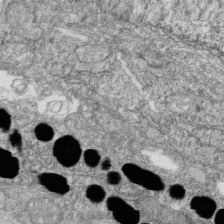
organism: Zebrafish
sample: Cilia; retinal pigment epithelium